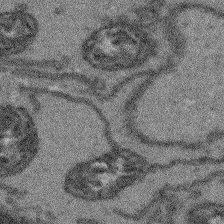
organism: Arabidopsis thaliana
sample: Root tip